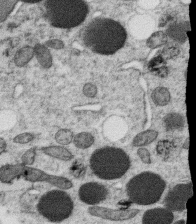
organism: C. elegans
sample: C. elegans oocyte; sperm cells